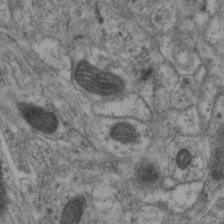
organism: Mouse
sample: Neocortex